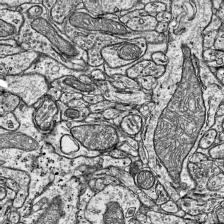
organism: Mouse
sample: Visual Cortex